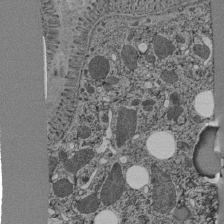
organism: C. elegans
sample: C. elegans pharynx